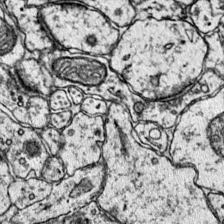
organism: Mouse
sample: Primary visual cortex